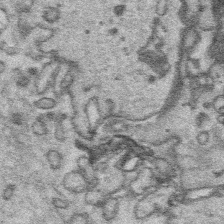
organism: Platynereis dumerilii